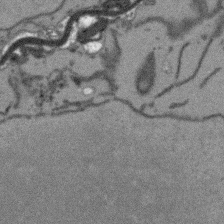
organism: Arabidopsis thaliana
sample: Root tip